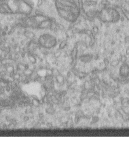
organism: Human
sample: Centriole in RPE cells